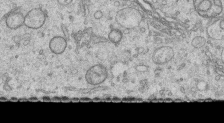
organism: Human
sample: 1205lu cells